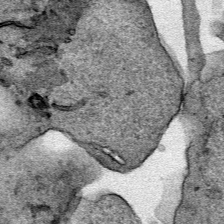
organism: Human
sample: Mitochondria in HCT116 cells